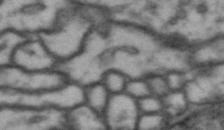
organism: Drosophila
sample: Brain